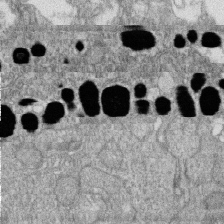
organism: Zebrafish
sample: Cilia; retinal pigment epithelium